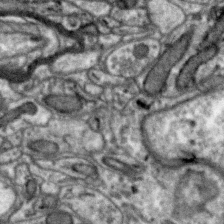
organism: Zebra finch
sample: Brain